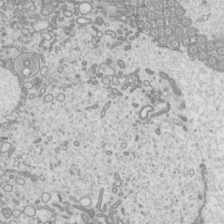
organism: Mouse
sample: Cilia; mouse epididymis